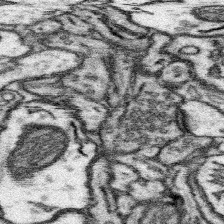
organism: Mouse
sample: Somatosensory cortex neuropil